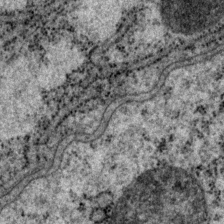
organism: P. pacificus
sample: Pharynx